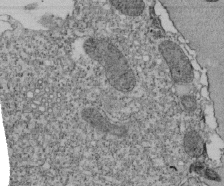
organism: Tetrahymena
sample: Cilia in tetrahymena